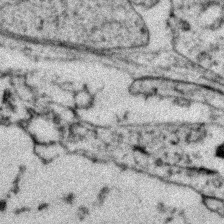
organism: Zebrafish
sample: Zebrafish embryo